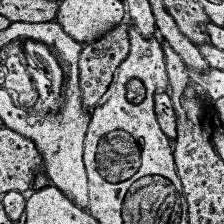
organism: Human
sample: Temporal Lobe